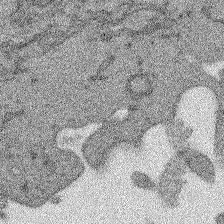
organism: Human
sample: HeLa cells